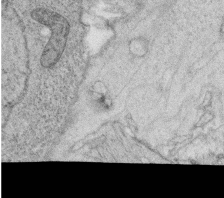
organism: C. elegans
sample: C. elegans oocyte; sperm cells